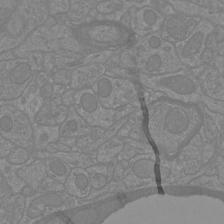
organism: Mouse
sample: Cortical neurons